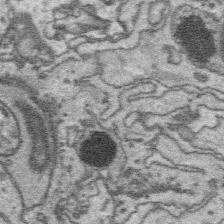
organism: Platynereis dumerilii